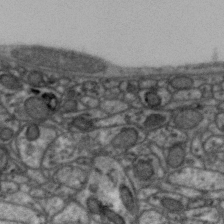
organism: Zebra finch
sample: Brain